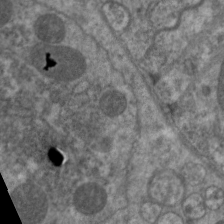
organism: C. elegans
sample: Pharynx